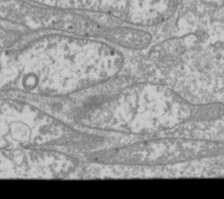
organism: Drosophila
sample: Cell division; meiosis; drosophila spermatocytes